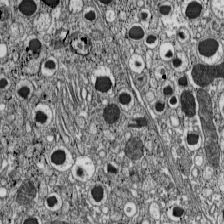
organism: C57BL Mouse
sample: Pancreatic islet